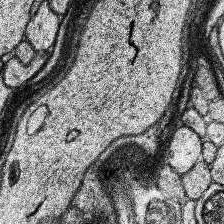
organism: Human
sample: Temporal Lobe